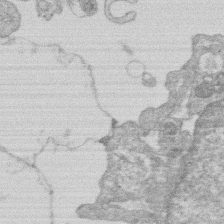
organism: Human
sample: Macrophage cells